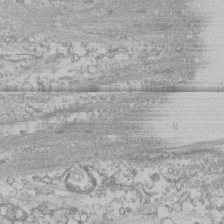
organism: Human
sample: CRL-1474